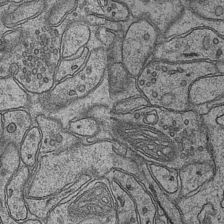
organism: Mouse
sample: CA1 Hippocampus